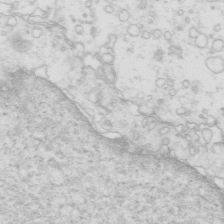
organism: Mouse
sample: Multiciliated cells